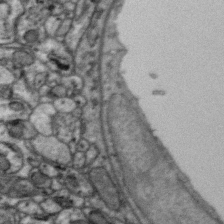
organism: Zebra finch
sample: Brain